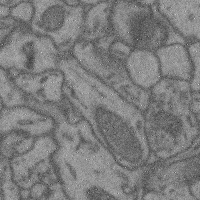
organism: Mouse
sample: Cerebral cortex